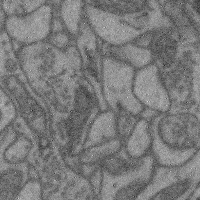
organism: Mouse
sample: Cerebral cortex